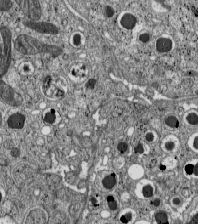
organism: C57BL Mouse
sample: Pancreatic islet